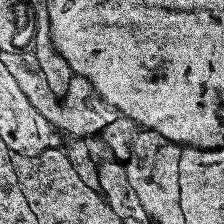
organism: Human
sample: Temporal Lobe